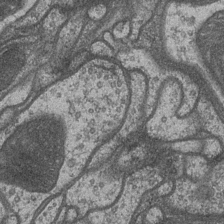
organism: Drosophila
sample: Optic medulla